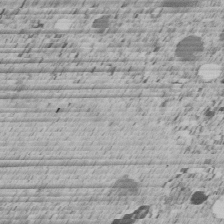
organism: C. elegans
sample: C. elegans embryo early stage